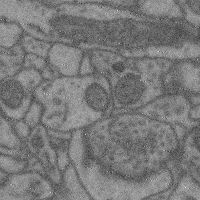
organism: Mouse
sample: Cerebral cortex